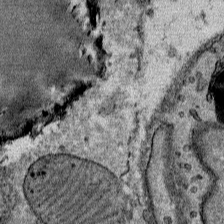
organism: Mouse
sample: Mouse Salivary gland